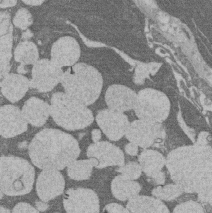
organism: Rat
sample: Salivary granule